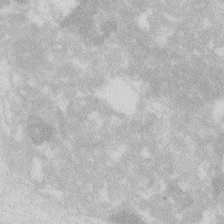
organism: Zebrafish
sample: Macrophage